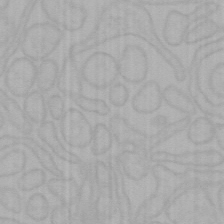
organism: Mouse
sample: Choroid plexus